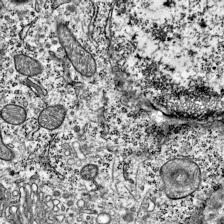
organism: Mouse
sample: Visual Cortex